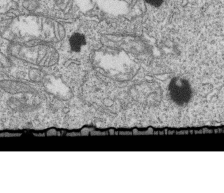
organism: Human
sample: HeLa cell HIV synapse